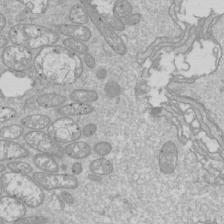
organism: Drosophila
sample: Cell division; meiosis; drosophila spermatocytes